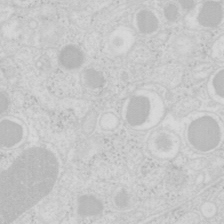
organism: Mouse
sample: Pancreas